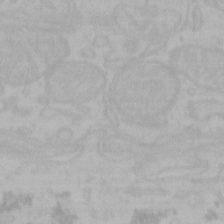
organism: Mouse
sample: Choroid plexus